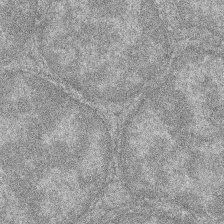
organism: Zebrafish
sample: Cilia; retinal pigment epithelium